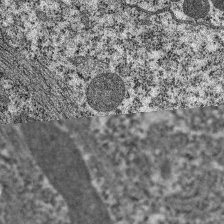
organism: C. elegans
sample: Pharynx